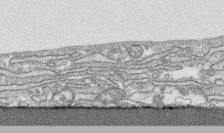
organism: Human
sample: CRL-1474